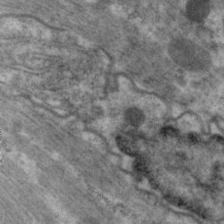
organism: C. elegans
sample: Pharynx